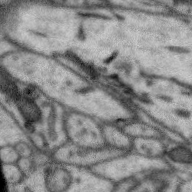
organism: Zebra finch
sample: Brain